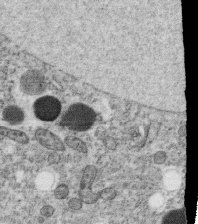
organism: C. elegans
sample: C. elegans oocyte; sperm cells